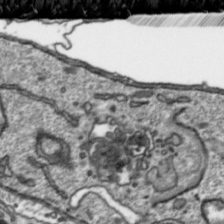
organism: Toxoplasma gondii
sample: Parasites in a vacuole inside a host cell